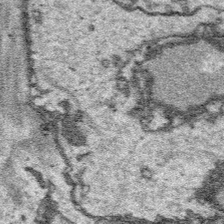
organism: Platynereis dumerilii